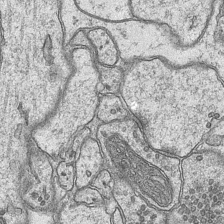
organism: Mouse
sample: CA1 Hippocampus